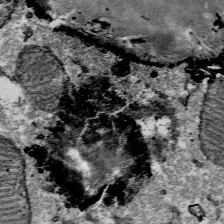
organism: Mouse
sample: Mouse Salivary gland